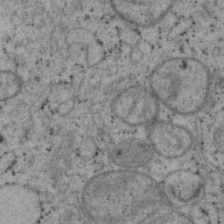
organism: Human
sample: HeLa cells